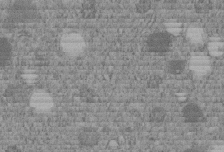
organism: C. elegans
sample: C. elegans embryo early stage